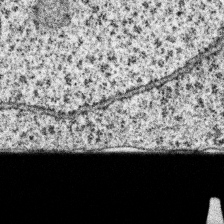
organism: Human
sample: HeLa cells